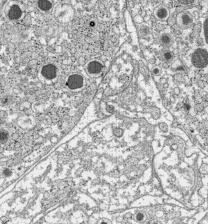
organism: C57BL Mouse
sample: Pancreatic islet